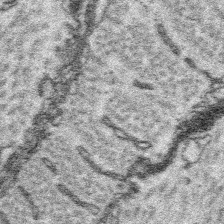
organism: Platynereis dumerilii